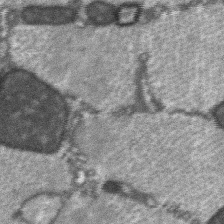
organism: C57BL Mouse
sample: Soleus